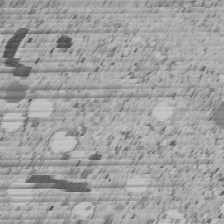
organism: C. elegans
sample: C. elegans embryo early stage